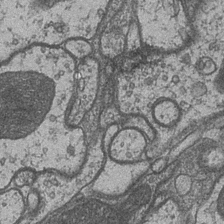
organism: Drosophila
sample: Optic medulla